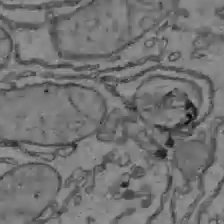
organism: C57BL Mouse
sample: Liver